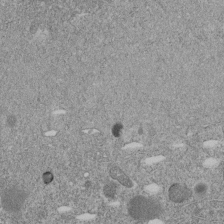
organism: C. elegans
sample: C. elegans embryo early stage